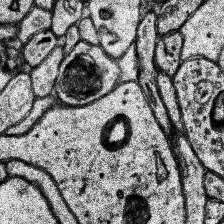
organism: Human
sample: Temporal Lobe